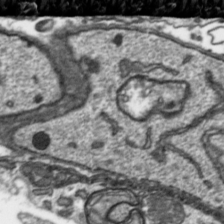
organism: Toxoplasma gondii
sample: Parasites in a vacuole inside a host cell